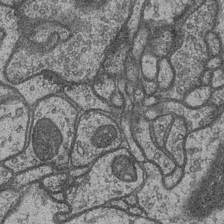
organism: Drosophila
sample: Optic medulla